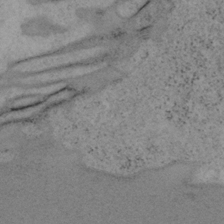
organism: Mouse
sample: OT-I killer T cells with ID8 ovarian cancer cells